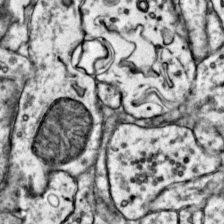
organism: Mouse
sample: Primary visual cortex